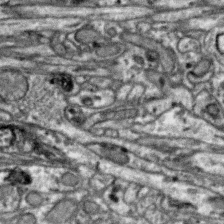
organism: Zebra finch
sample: Brain